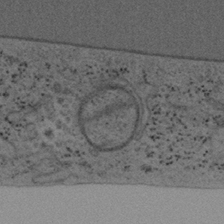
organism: Human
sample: HeLa cells